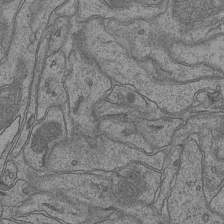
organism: Mouse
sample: CA1 Hippocampus